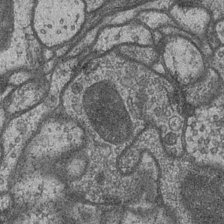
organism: Drosophila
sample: Optic medulla